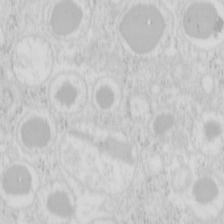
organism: Mouse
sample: Pancreas